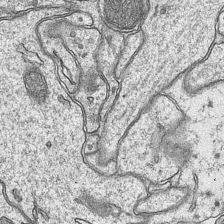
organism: Mouse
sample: CA1 Hippocampus